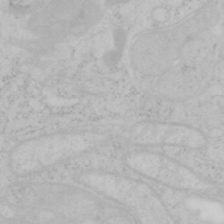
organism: Mouse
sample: OT-I killer T cells with ID8 ovarian cancer cells